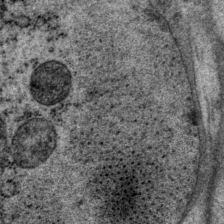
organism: P. pacificus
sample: Pharynx